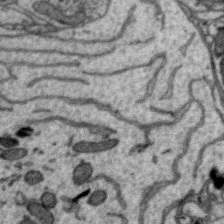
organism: Zebra finch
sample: Brain